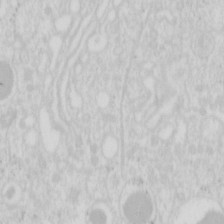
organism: Mouse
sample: Pancreas